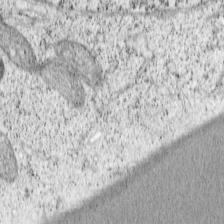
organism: African green monkey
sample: COS-7 cells